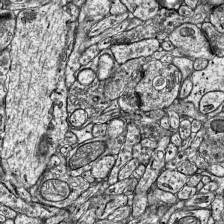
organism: Mouse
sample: Visual Cortex